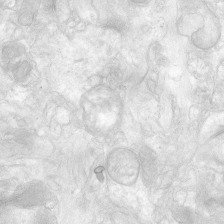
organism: Human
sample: Neocortex